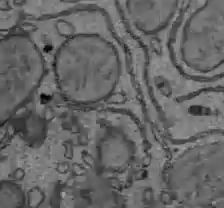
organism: C57BL Mouse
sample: Liver